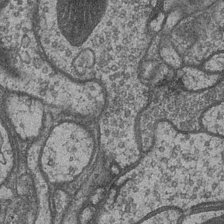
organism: Drosophila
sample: Optic medulla